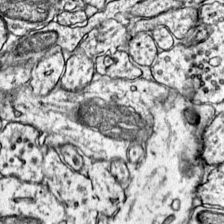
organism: Mouse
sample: Primary visual cortex